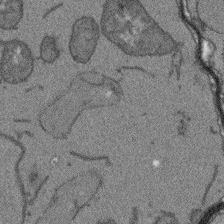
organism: Arabidopsis thaliana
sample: Root tip